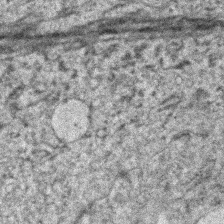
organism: Human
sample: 1205lu cells